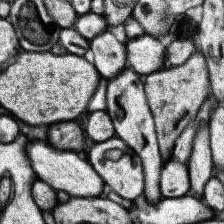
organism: Human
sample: Temporal Lobe